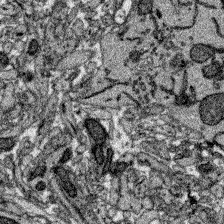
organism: Zebrafish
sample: Larval olfactory bulb